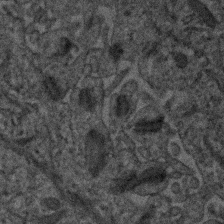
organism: Human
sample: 1205lu cells